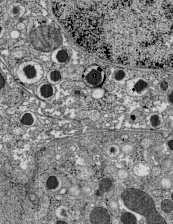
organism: C57BL Mouse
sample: Pancreatic islet